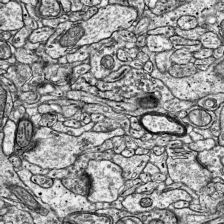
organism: Mouse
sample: Visual Cortex